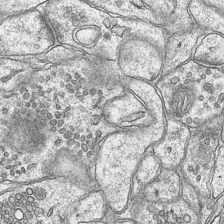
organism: Mouse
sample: CA1 Hippocampus